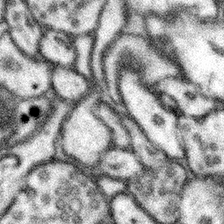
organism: Mouse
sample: Somatosensory cortex neuropil